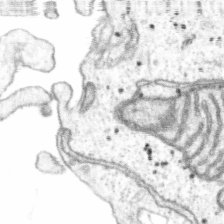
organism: Human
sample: HeLa cells